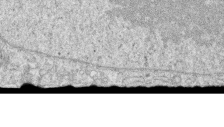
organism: Human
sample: HeLa cell HIV synapse